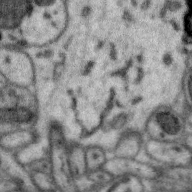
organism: Zebra finch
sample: Brain